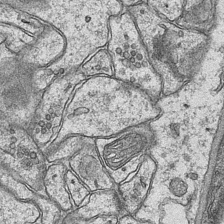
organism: Mouse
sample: CA1 Hippocampus